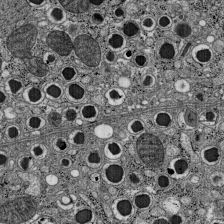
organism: C57BL Mouse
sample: Pancreatic islet